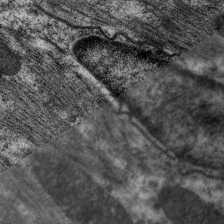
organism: C. elegans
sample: Pharynx